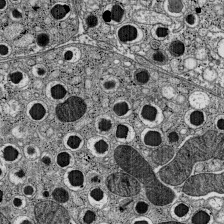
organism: C57BL Mouse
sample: Pancreatic islet